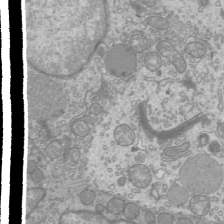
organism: Mouse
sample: Cilia; mouse epididymis